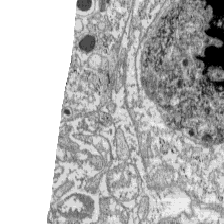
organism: C57BL Mouse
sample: Pancreatic islet